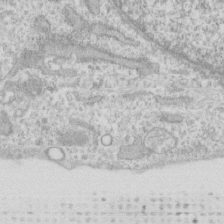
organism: Human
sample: Fibroblast cells